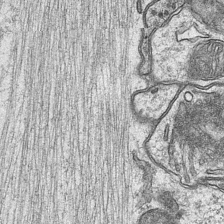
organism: Mouse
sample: CA1 Hippocampus